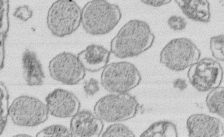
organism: E. coli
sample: Bacterial nucleoid